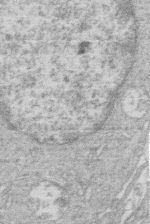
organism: Human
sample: Macrophage cells